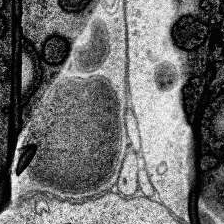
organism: Human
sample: Temporal Lobe